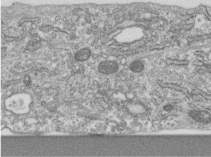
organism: Human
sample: Centriole in RPE cells